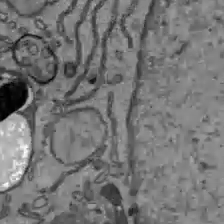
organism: C57BL Mouse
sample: Liver